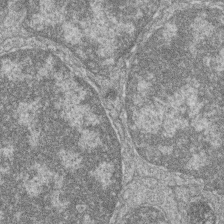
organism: Zebrafish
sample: Cilia; retinal pigment epithelium